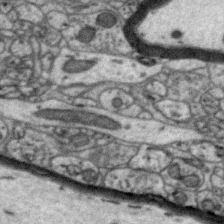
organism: Zebra finch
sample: Brain